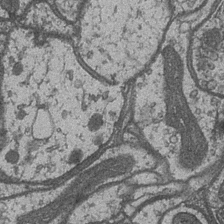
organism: Drosophila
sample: Optic medulla